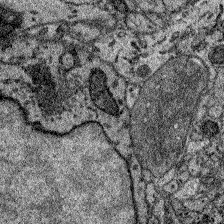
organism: Zebrafish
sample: Larval olfactory bulb